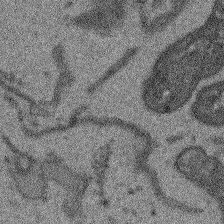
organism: Arabidopsis thaliana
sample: Root tip